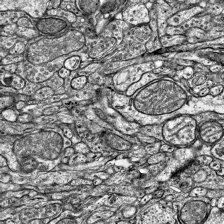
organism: Mouse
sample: Visual Cortex